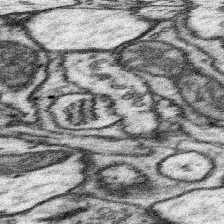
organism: Mouse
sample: Somatosensory cortex neuropil